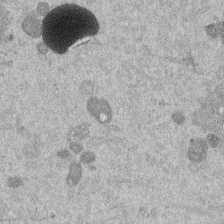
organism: Mouse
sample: Dividing mouse embryo 1 cell stage